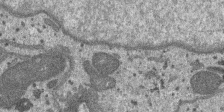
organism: Human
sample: Lung epithelial cells infected with SARS-CoV-2